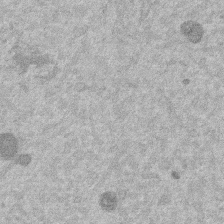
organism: Mouse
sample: Dividing mouse embryo 1 cell stage